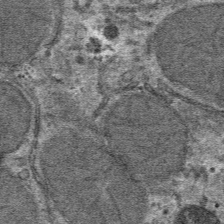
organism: Mouse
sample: Mouse hepatocytes